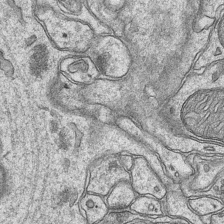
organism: Mouse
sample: CA1 Hippocampus